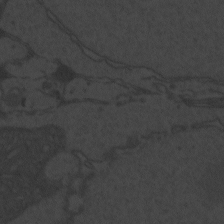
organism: Zebrafish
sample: Macrophage infected with Toxoplasma gondii